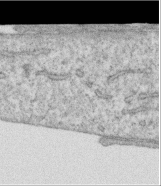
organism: Human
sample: Centriole in RPE cells